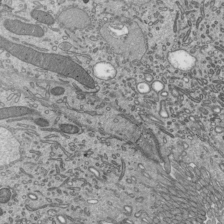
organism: Mouse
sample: Mouse epididymis efferent ductule cilia